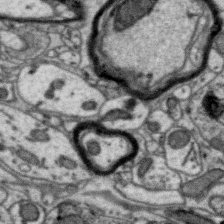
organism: Zebra finch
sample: Brain